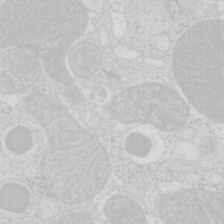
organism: Mouse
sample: Pancreas